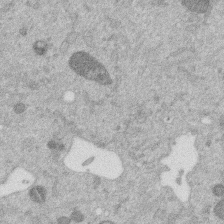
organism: Mouse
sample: Dividing mouse embryo 1 cell stage